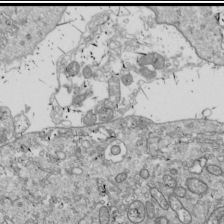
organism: Drosophila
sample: Cell division; meiosis; drosophila spermatocytes